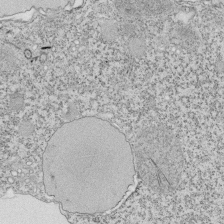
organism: Tetrahymena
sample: Cilia in tetrahymena